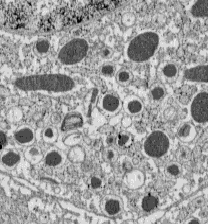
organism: C57BL Mouse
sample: Pancreatic islet